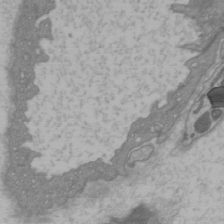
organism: C57BL Mouse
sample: Heart